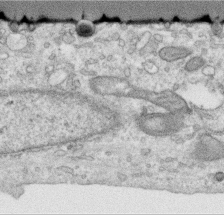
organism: Human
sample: Centriole in RPE cells